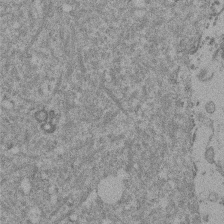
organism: Mouse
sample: Dividing mouse embryo 1 cell stage